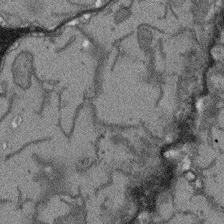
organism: Arabidopsis thaliana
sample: Root tip